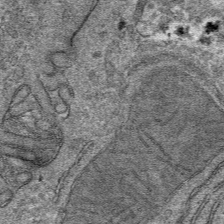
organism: Mouse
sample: Mouse hepatocytes